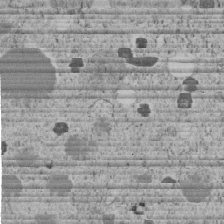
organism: C. elegans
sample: C. elegans embryo early stage